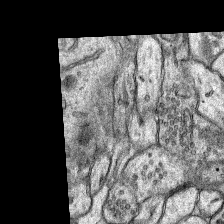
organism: Rat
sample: Hippocampus